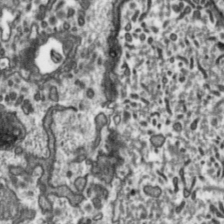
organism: Toxoplasma gondii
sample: Parasites in a vacuole inside a host cell